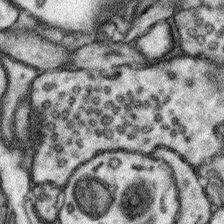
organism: Mouse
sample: Somatosensory cortex neuropil